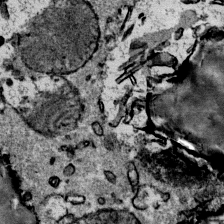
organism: Mouse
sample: Mouse Salivary gland